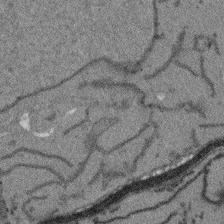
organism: Arabidopsis thaliana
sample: Root tip